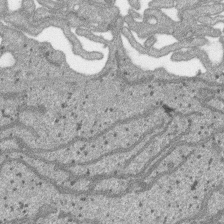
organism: Human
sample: Lung epithelial cells infected with SARS-CoV-2